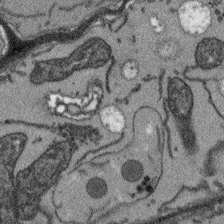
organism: Arabidopsis thaliana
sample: Root tip